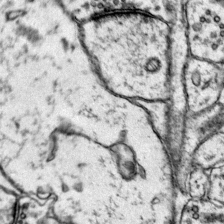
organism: Mouse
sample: Primary visual cortex